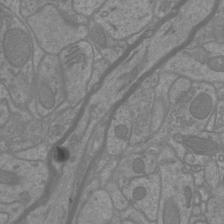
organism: Mouse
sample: Cortical neurons